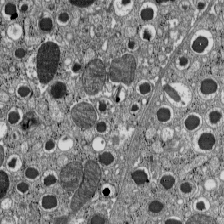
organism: C57BL Mouse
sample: Pancreatic islet